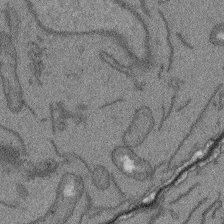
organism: Arabidopsis thaliana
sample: Root tip